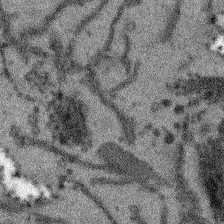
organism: Arabidopsis thaliana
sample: Root tip